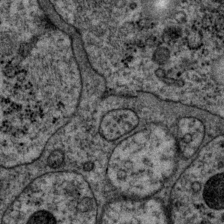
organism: P. pacificus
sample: Pharynx